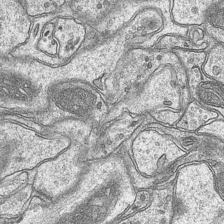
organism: Mouse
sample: CA1 Hippocampus